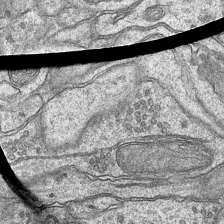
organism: Mouse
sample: CA1 Hippocampus